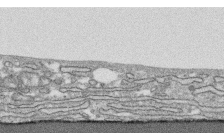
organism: Human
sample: CRL-1474